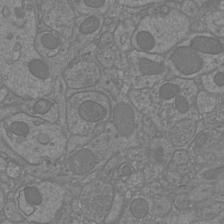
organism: Mouse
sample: Cortical neurons